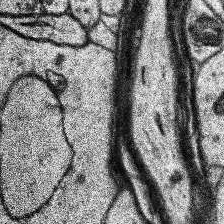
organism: Human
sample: Temporal Lobe